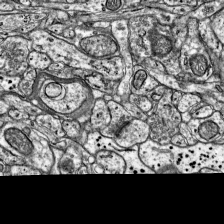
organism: Mouse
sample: Visual Cortex